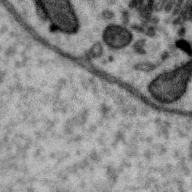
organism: Zebra finch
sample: Brain